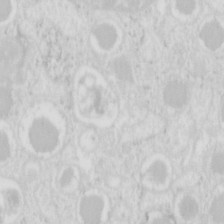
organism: Mouse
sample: Pancreas